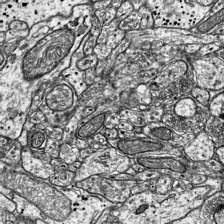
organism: Mouse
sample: Visual Cortex